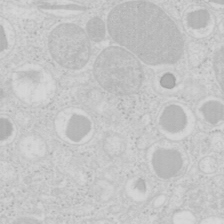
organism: Mouse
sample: Pancreas